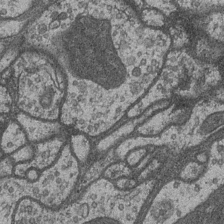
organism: Drosophila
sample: Optic medulla